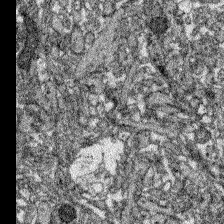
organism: Zebrafish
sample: Larval olfactory bulb